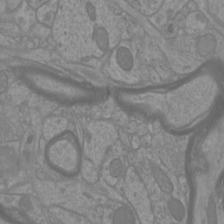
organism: Mouse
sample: Cortical neurons